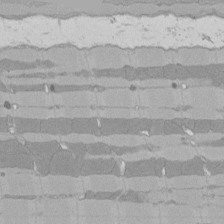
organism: Rat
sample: Left ventricle